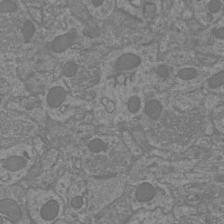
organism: Mouse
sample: Cortical neurons